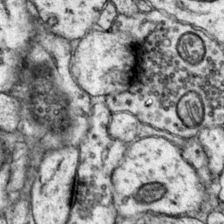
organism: Mouse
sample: Primary visual cortex